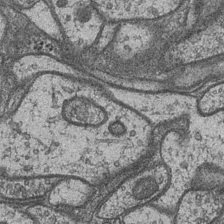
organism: Drosophila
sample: Optic medulla